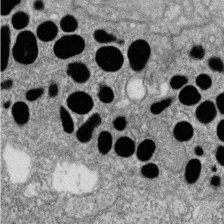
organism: Zebrafish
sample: Cilia; retinal pigment epithelium